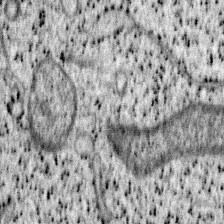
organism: Human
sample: HeLa cells